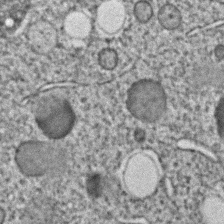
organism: C. elegans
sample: C. elegans embryo